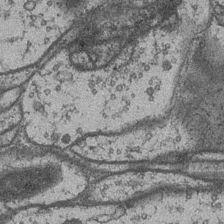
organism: Drosophila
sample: Optic medulla